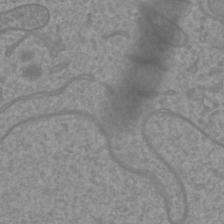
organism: Mouse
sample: Cortical neurons